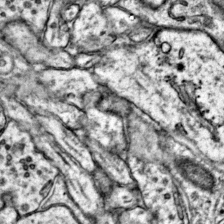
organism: Mouse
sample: Primary visual cortex